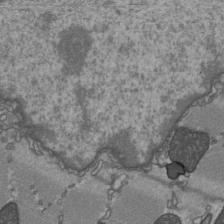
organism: C57BL Mouse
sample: Heart